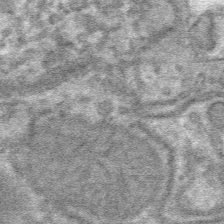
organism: Mouse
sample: Mouse hepatocytes